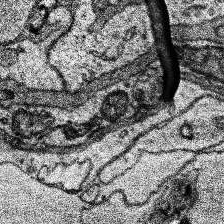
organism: Human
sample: Temporal Lobe